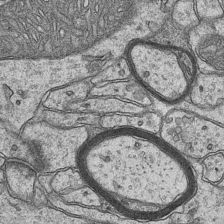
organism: Mouse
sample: CA1 Hippocampus